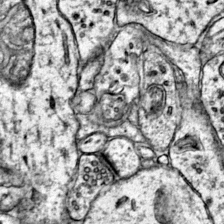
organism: Mouse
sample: Primary visual cortex